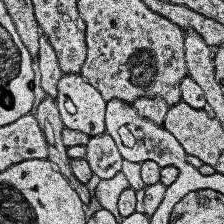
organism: Human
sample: Temporal Lobe